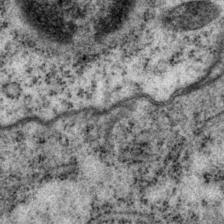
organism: P. pacificus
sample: Pharynx